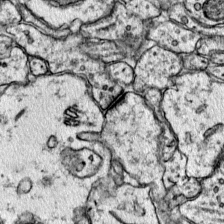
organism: Mouse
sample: Primary visual cortex